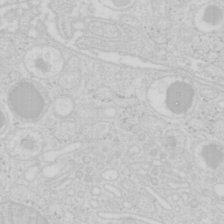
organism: Mouse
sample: Pancreas